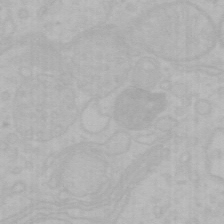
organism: Mouse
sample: Choroid plexus